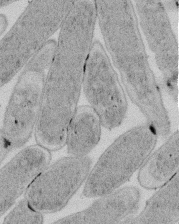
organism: E. coli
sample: Bacterial nucleoid